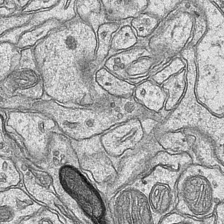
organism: Mouse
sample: CA1 Hippocampus